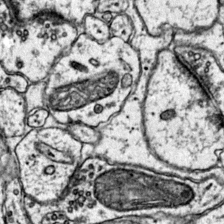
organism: Mouse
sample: Primary visual cortex